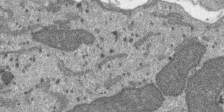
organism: Human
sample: Lung epithelial cells infected with SARS-CoV-2